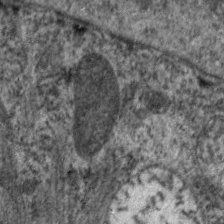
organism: C. elegans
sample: Pharynx